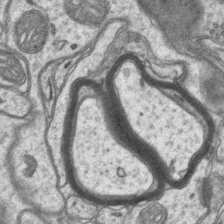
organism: Mouse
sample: CA1 Hippocampus